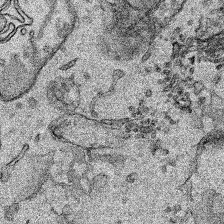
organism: Human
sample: Mitochondria in HCT116 cells